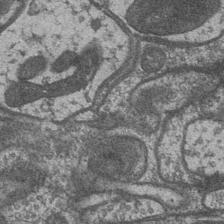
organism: Drosophila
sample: Optic medulla